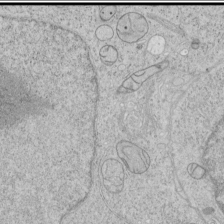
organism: Human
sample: Mitochondria in HCT116 cells